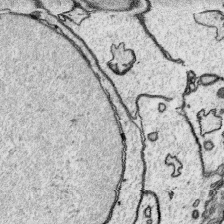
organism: Platynereis dumerilii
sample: Parapodia